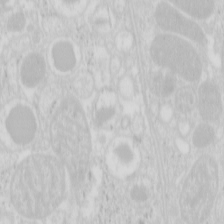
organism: Mouse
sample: Pancreas